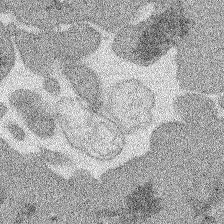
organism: Human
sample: HeLa cells